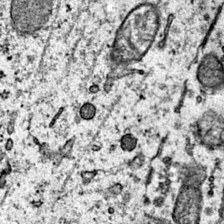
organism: Mouse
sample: Primary visual cortex